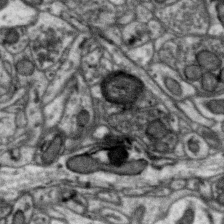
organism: Zebra finch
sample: Brain